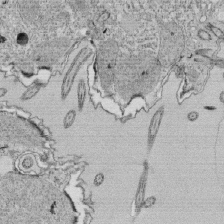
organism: Tetrahymena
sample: Cilia in tetrahymena